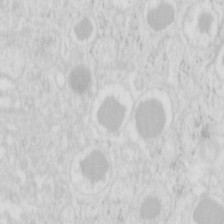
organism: Mouse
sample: Pancreas